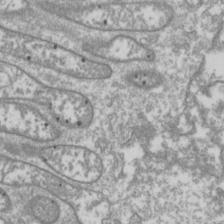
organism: Drosophila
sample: Cell division; meiosis; drosophila spermatocytes